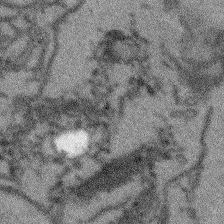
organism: Arabidopsis thaliana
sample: Root tip